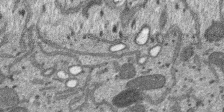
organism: Human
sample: Lung epithelial cells infected with SARS-CoV-2